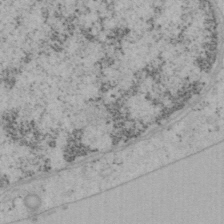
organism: Human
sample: HeLa cells